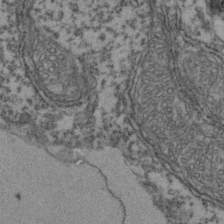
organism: Zebrafish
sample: Zebrafish embryo